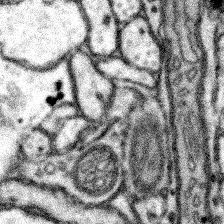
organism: Mouse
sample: Somatosensory cortex neuropil